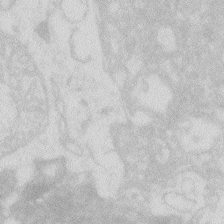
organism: Zebrafish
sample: Macrophage